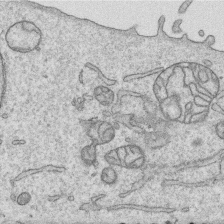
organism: Human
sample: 1205lu cells